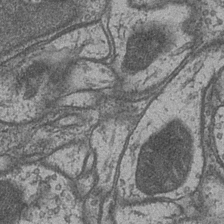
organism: Drosophila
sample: Optic medulla